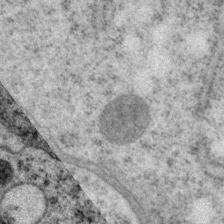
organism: P. pacificus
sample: Pharynx